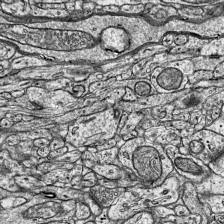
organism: Mouse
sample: Visual Cortex